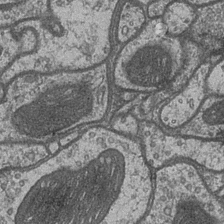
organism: Drosophila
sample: Optic medulla